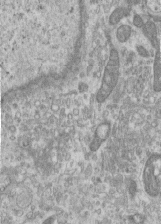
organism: Human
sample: Centriole in RPE cells